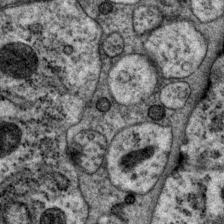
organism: P. pacificus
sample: Pharynx